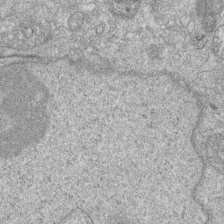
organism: Human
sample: HeLa cell HIV synapse